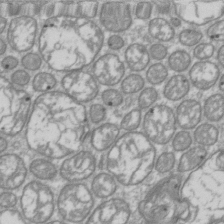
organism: Drosophila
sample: Cell division; meiosis; drosophila spermatocytes